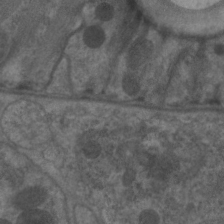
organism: C. elegans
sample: Pharynx